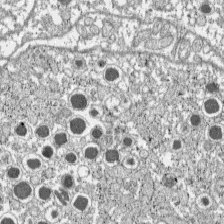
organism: C57BL Mouse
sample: Pancreatic islet